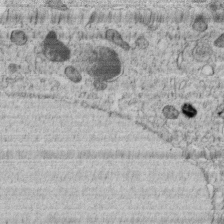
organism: C. elegans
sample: C. elegans embryo early stage